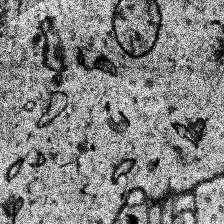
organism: Human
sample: Temporal Lobe